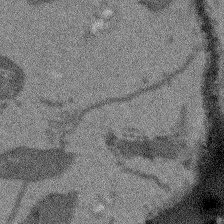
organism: Arabidopsis thaliana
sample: Root tip